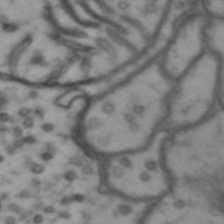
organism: Drosophila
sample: Brain